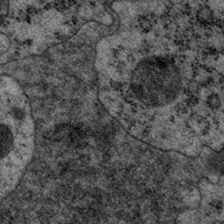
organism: P. pacificus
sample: Pharynx